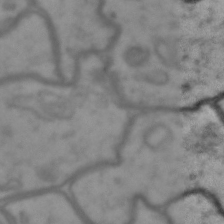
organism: Drosophila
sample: Brain